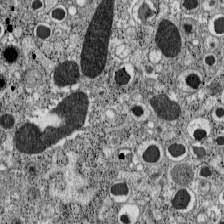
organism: C57BL Mouse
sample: Pancreatic islet